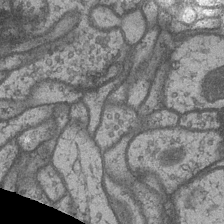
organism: Drosophila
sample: Optic medulla